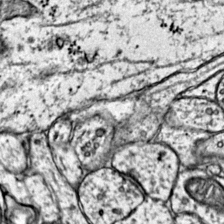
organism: Mouse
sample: Primary visual cortex